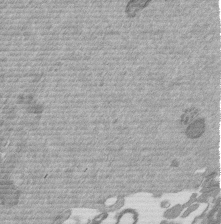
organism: Mouse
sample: Dividing mouse embryo 1 cell stage